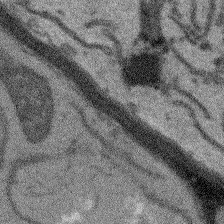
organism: Arabidopsis thaliana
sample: Root tip